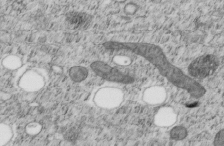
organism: C. elegans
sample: C. elegans embryo early stage